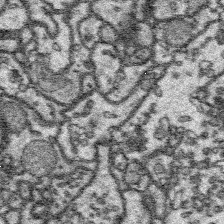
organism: Platynereis dumerilii